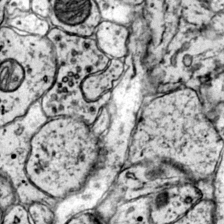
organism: Mouse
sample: Primary visual cortex